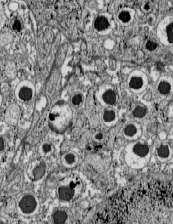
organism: C57BL Mouse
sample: Pancreatic islet